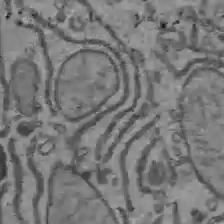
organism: C57BL Mouse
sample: Liver